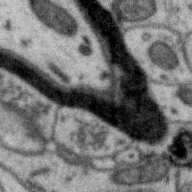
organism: Zebra finch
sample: Brain